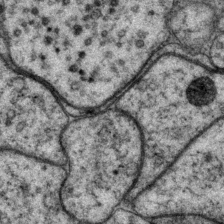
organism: P. pacificus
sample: Pharynx